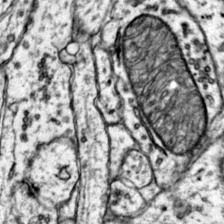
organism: Mouse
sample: Primary visual cortex